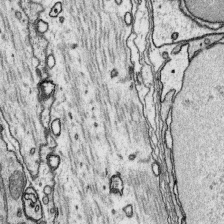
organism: Platynereis dumerilii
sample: Parapodia